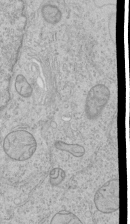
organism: Human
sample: Mitochondria in HCT116 cells